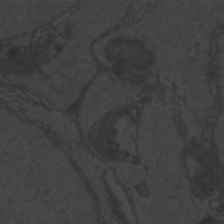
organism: Zebrafish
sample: Macrophage infected with Toxoplasma gondii